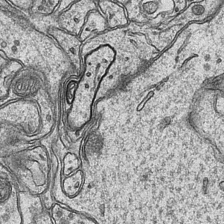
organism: Mouse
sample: CA1 Hippocampus